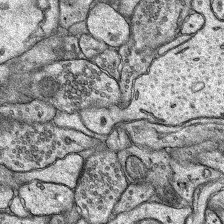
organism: Rat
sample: Hippocampus